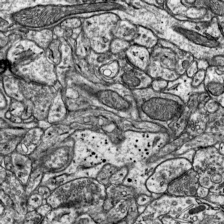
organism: Mouse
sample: Visual Cortex